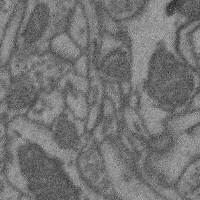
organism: Mouse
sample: Cerebral cortex